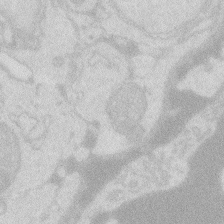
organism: Zebrafish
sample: Macrophage